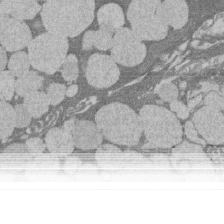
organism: Rat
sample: Salivary granule